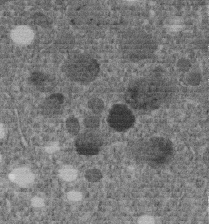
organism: C. elegans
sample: C. elegans embryo early stage